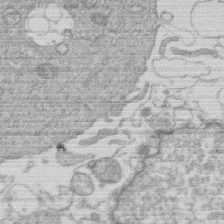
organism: Human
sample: Macrophage cells